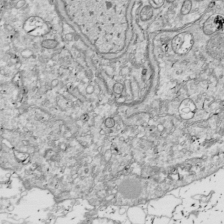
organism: Drosophila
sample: Cell division; meiosis; drosophila spermatocytes